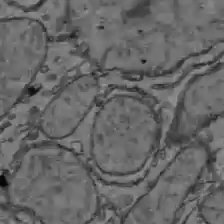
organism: C57BL Mouse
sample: Liver